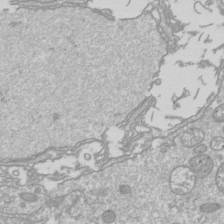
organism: Drosophila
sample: Cell division; meiosis; drosophila spermatocytes